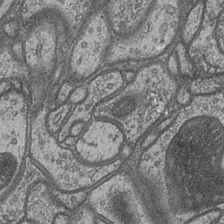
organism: Drosophila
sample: Optic medulla